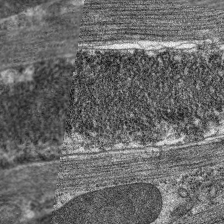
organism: C. elegans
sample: Pharynx